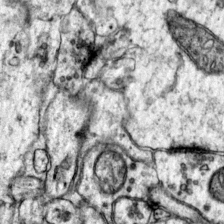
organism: Mouse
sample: Primary visual cortex